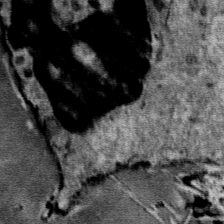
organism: Mouse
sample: Mouse Salivary gland